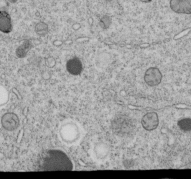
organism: C. elegans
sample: C. elegans embryo early stage